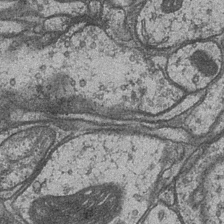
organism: Drosophila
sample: Optic medulla